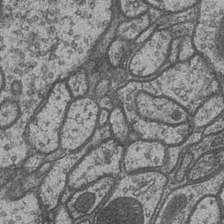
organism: Drosophila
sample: Optic medulla